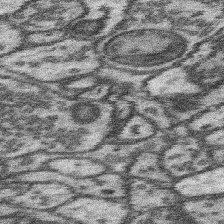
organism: Mouse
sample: Somatosensory cortex neuropil